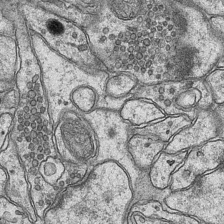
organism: Mouse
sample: CA1 Hippocampus